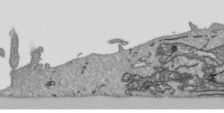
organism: Human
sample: Mitochondria in HCT116 cells